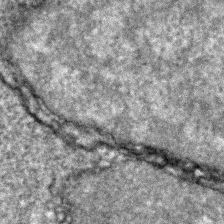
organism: Zebrafish